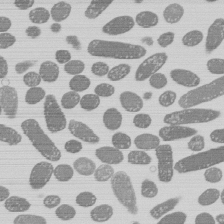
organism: E. coli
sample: Bacterial nucleoid